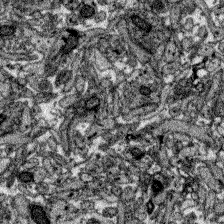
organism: Zebrafish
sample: Larval olfactory bulb